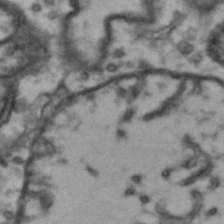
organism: Drosophila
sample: Brain